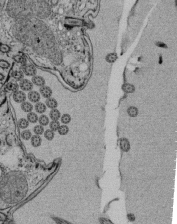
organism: Tetrahymena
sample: Cilia in tetrahymena